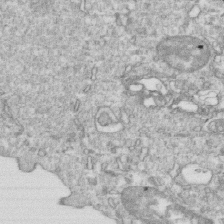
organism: Mouse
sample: Activated OT-1 CD8+ T cells